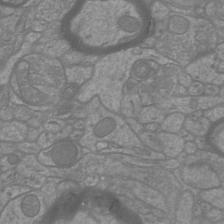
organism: Mouse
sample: Cortical neurons